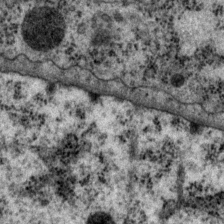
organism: P. pacificus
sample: Pharynx